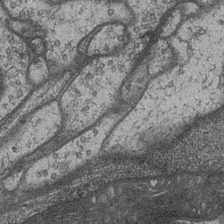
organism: Drosophila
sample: Optic medulla